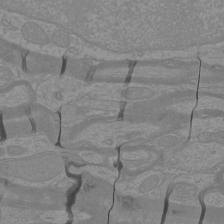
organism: Mouse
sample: Cortical neurons